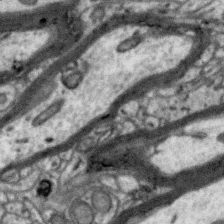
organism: Zebra finch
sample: Brain